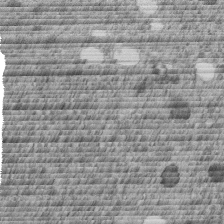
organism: C. elegans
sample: C. elegans embryo early stage